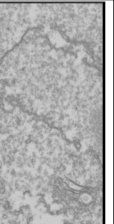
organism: Drosophila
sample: Cell division; meiosis; drosophila spermatocytes